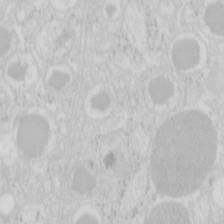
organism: Mouse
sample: Pancreas